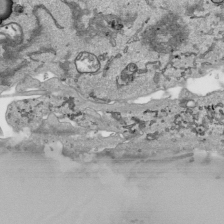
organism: Human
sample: Mitochondria in HCT116 cells